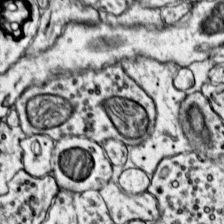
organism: Mouse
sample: Primary visual cortex